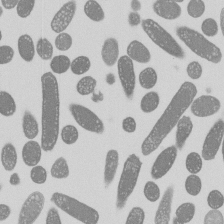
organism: E. coli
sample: Bacterial nucleoid